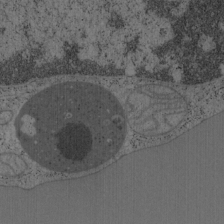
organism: Mouse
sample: OT-I killer T cells with ID8 ovarian cancer cells